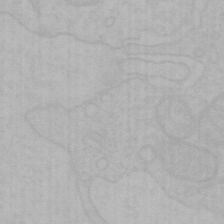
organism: Mouse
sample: Choroid plexus